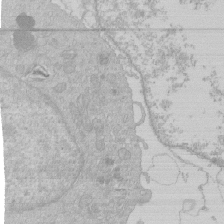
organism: Human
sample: Macrophage cells